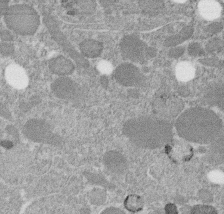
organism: C. elegans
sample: C. elegans embryo early stage